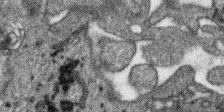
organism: Human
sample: Lung epithelial cells infected with SARS-CoV-2